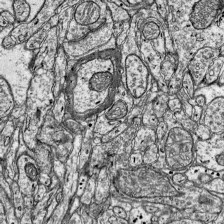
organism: Mouse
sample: Visual Cortex